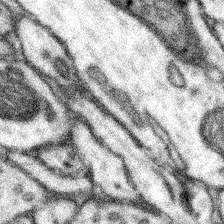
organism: Mouse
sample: Somatosensory cortex neuropil